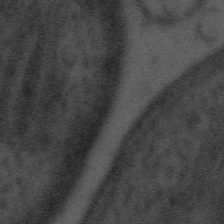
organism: Tuwongella immobilis